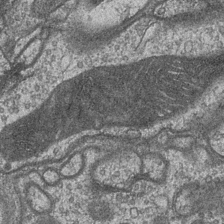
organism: Drosophila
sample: Optic medulla